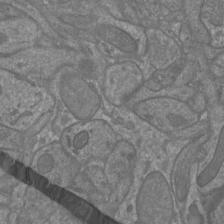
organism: Mouse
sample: Cortical neurons